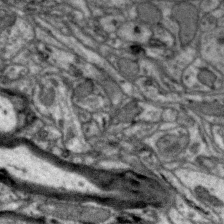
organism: Zebra finch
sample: Brain